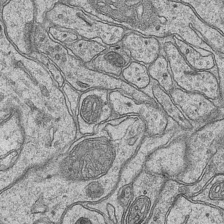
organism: Mouse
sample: CA1 Hippocampus